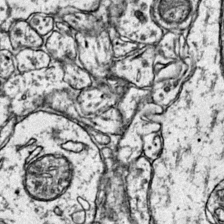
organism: Mouse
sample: Primary visual cortex